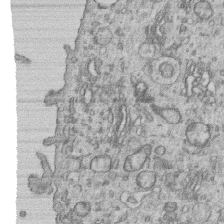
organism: Human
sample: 1205lu cells